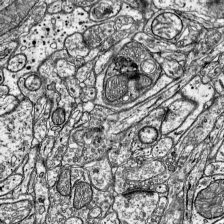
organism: Mouse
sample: Visual Cortex